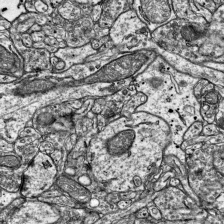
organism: Mouse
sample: Visual Cortex